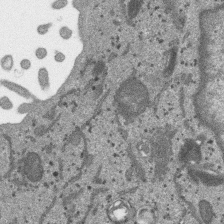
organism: Human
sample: Lung epithelial cells infected with SARS-CoV-2